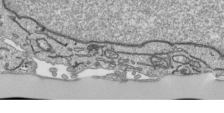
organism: Human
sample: Mitochondria in HCT116 cells